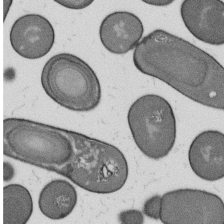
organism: B. subtilis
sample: Bacterial spore